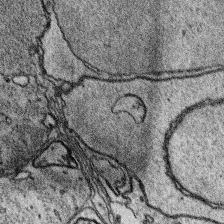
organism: Platynereis dumerilii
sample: Parapodia